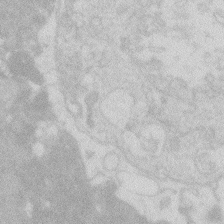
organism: Zebrafish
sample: Macrophage